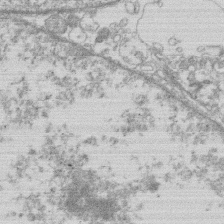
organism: Human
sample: Macrophage cells